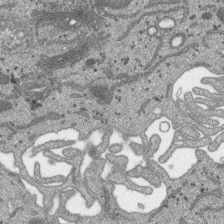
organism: Human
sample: Lung epithelial cells infected with SARS-CoV-2